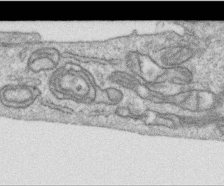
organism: Human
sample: Centriole in RPE cells